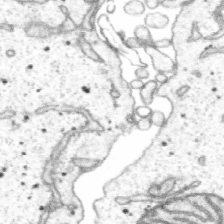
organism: Human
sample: HeLa cells